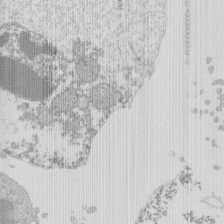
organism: Mouse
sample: Activated Pmel transgenic CD8+ T Cells